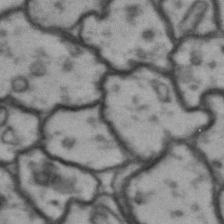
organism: Drosophila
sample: Brain